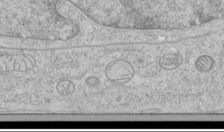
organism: Human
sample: Mitochondria in HCT116 cells